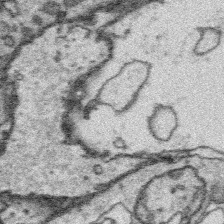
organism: Platynereis dumerilii